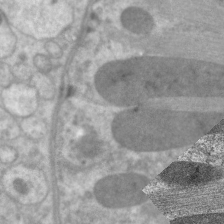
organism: C. elegans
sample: Pharynx